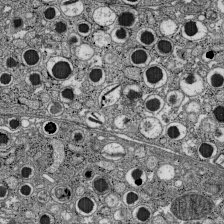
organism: C57BL Mouse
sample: Pancreatic islet